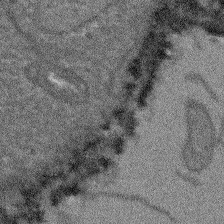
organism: Arabidopsis thaliana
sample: Root tip